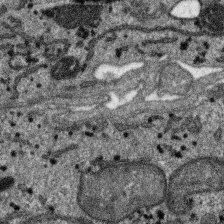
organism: Human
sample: Lung epithelial cells infected with SARS-CoV-2